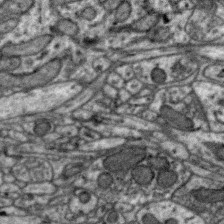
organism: Zebra finch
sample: Brain